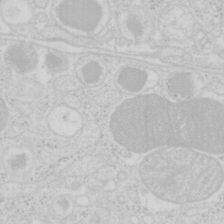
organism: Mouse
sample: Pancreas